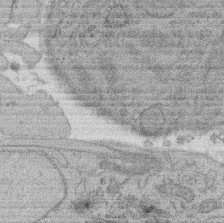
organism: Rat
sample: Salivary granule